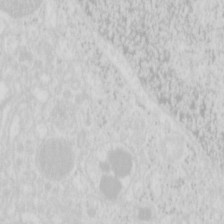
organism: Mouse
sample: Pancreas